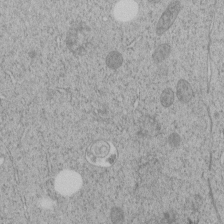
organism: C. elegans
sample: C. elegans embryo early stage